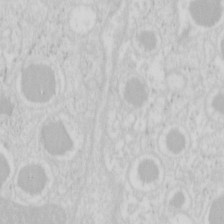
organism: Mouse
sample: Pancreas